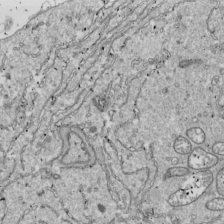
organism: Drosophila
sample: Cell division; meiosis; drosophila spermatocytes